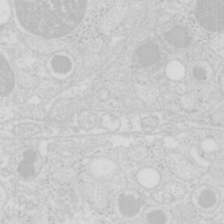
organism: Mouse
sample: Pancreas